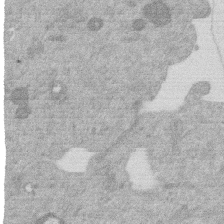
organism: Mouse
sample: Dividing mouse embryo 1 cell stage